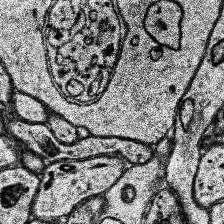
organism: Human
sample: Temporal Lobe